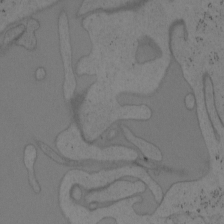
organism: Mouse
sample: OT-I killer T cells with ID8 ovarian cancer cells